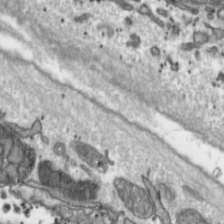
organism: Toxoplasma gondii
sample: Parasites in a vacuole inside a host cell